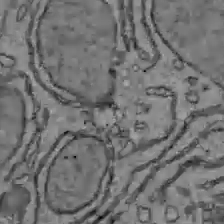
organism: C57BL Mouse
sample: Liver